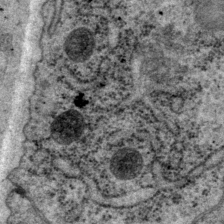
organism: P. pacificus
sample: Pharynx